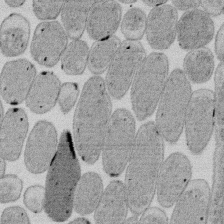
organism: E. coli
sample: Bacterial nucleoid